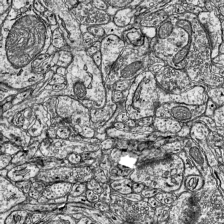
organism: Mouse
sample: Visual Cortex